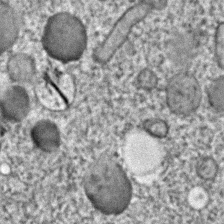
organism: C. elegans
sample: C. elegans embryo